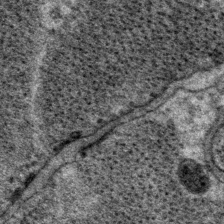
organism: P. pacificus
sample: Pharynx